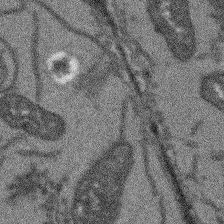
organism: Arabidopsis thaliana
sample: Root tip